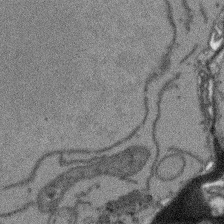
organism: Arabidopsis thaliana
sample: Root tip